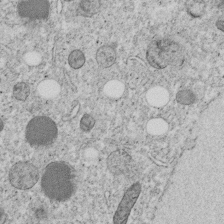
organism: C. elegans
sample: C. elegans embryo early stage